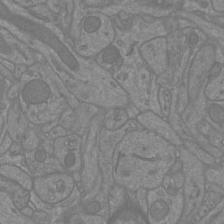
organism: Mouse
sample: Cortical neurons